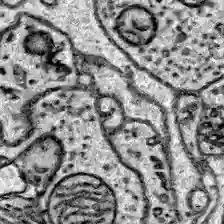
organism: Zebrafish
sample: Brain